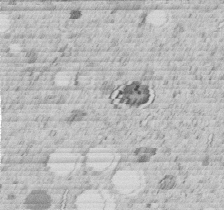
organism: C. elegans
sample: C. elegans embryo early stage